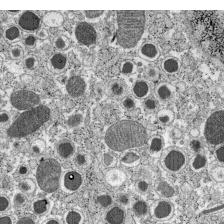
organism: C57BL Mouse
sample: Pancreatic islet